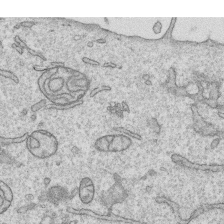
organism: Human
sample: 1205lu cells